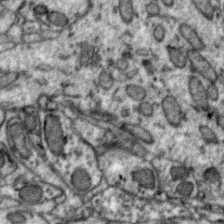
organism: Zebra finch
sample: Brain